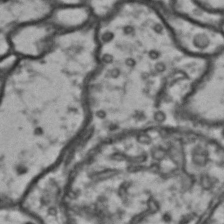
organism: Drosophila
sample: Brain